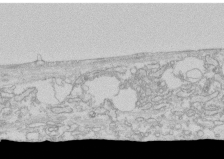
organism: Human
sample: CRL-1474